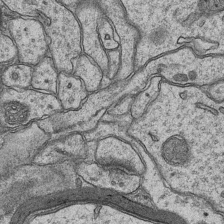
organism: Mouse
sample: CA1 Hippocampus